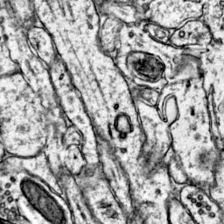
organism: Mouse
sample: Primary visual cortex